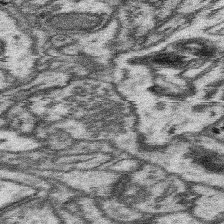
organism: Mouse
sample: Somatosensory cortex neuropil